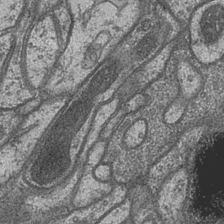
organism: Drosophila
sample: Optic medulla